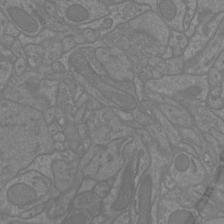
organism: Mouse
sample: Cortical neurons